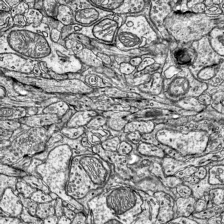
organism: Mouse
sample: Visual Cortex